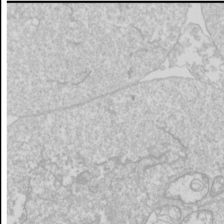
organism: Drosophila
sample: Cell division; meiosis; drosophila spermatocytes